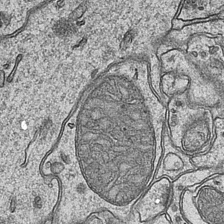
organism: Mouse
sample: CA1 Hippocampus